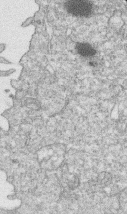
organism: Human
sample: HeLa cell HIV synapse